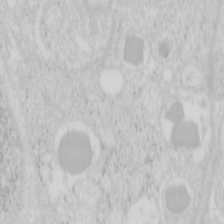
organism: Mouse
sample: Pancreas